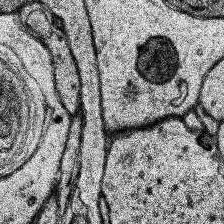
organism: Human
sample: Temporal Lobe